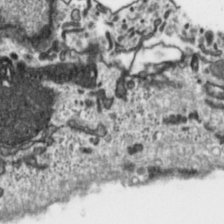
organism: Toxoplasma gondii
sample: Parasites in a vacuole inside a host cell